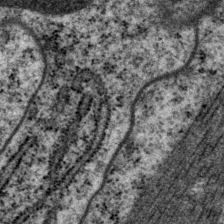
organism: P. pacificus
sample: Pharynx